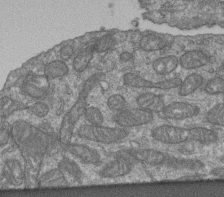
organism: Human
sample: Retinal organoid Rod and Cone cells